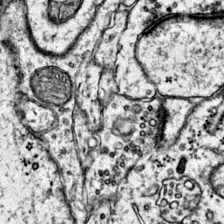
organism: Mouse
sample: Primary visual cortex